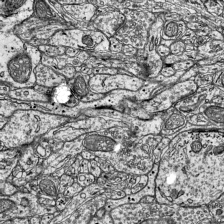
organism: Mouse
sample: Visual Cortex